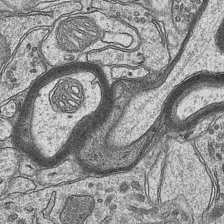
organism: Mouse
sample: CA1 Hippocampus